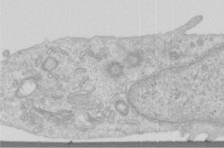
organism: Human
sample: Centriole in RPE cells